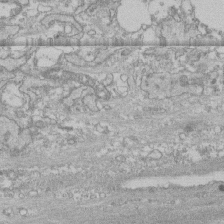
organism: Human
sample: CRL-1474